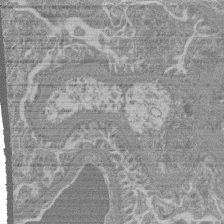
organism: Mouse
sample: Glomerulus